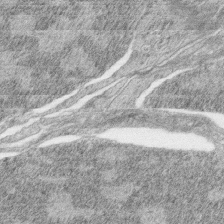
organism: Zebrafish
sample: synaptic ribbons in rod cells and cone cells